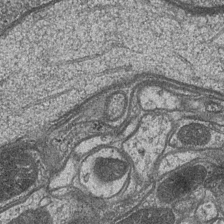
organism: Drosophila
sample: Optic medulla